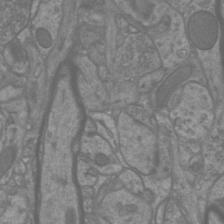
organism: Mouse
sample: Cortical neurons